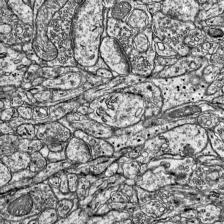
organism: Mouse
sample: Visual Cortex